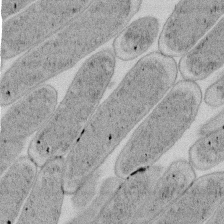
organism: E. coli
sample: Bacterial nucleoid